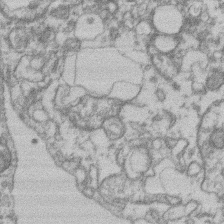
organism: Mouse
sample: T cell stromal cell synapse